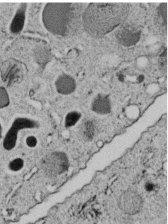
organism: C. elegans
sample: C. elegans embryo early stage